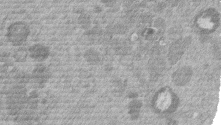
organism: Mouse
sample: Dividing mouse embryo 1 cell stage